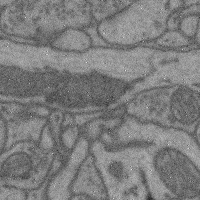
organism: Mouse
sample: Cerebral cortex